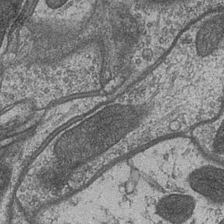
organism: Drosophila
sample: Optic medulla